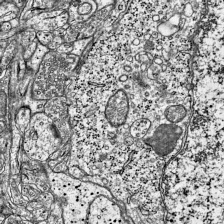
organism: Mouse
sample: Visual Cortex